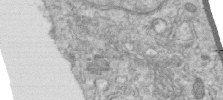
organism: Human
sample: Centriole in RPE cells